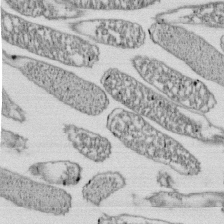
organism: E. coli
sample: Bacterial nucleoid